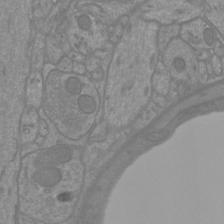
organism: Mouse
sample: Cortical neurons